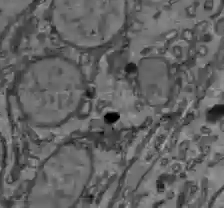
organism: C57BL Mouse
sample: Liver